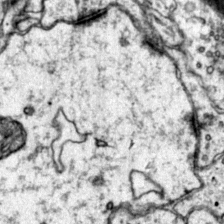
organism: Mouse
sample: Primary visual cortex